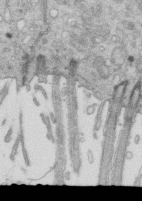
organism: Mouse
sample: Multiciliated cells